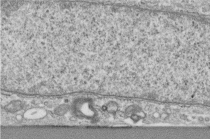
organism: Human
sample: Centriole in fibroblast cells